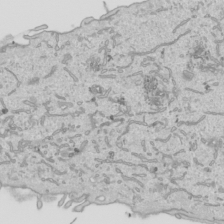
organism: Human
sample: Mitochondria in HCT116 cells